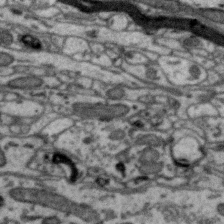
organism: Zebra finch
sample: Brain